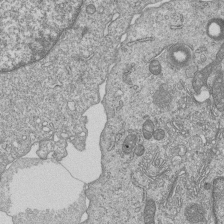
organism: Human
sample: MDA-MB-231 cells